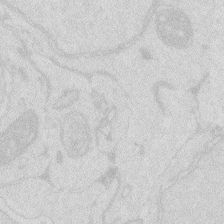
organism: Zebrafish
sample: Macrophage